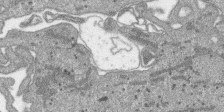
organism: Human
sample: Lung epithelial cells infected with SARS-CoV-2